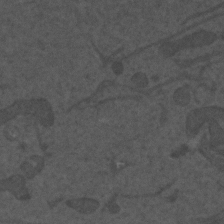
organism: C. elegans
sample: C. elegans embryo